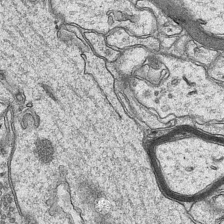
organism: Mouse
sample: CA1 Hippocampus